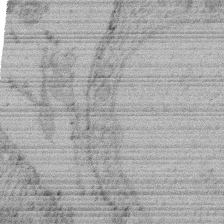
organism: Rat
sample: Salivary granule